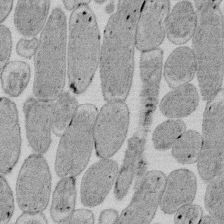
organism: E. coli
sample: Bacterial nucleoid